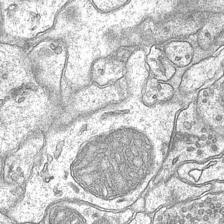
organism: Mouse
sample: CA1 Hippocampus